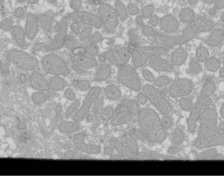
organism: Xenopus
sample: Cilia; centrioles in frog embryo cells